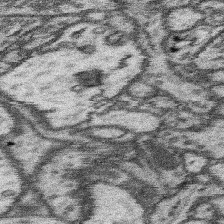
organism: Mouse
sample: Somatosensory cortex neuropil